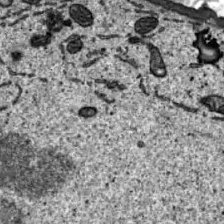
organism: Human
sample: HeLa cells